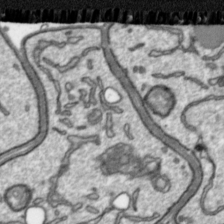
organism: Toxoplasma gondii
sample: Parasites in a vacuole inside a host cell